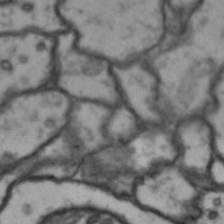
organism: Drosophila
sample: Brain